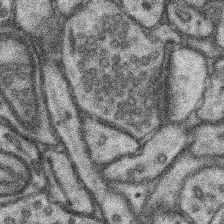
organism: Mouse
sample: Somatosensory cortex neuropil